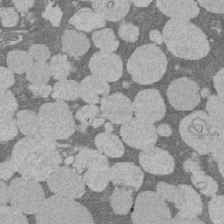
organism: Rat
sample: Salivary granule